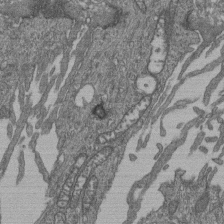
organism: Human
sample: Retinal organoid Rod and Cone cells